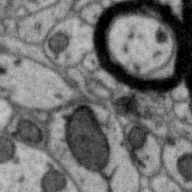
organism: Zebra finch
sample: Brain